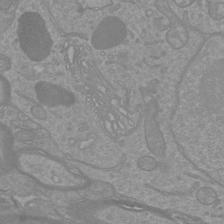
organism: Mouse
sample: Cortical neurons